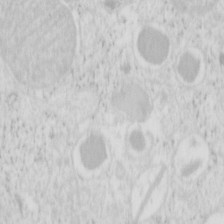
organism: Mouse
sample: Pancreas